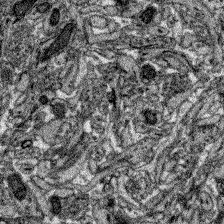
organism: Zebrafish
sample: Larval olfactory bulb